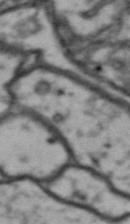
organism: Drosophila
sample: Brain